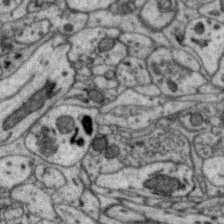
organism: Zebra finch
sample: Brain